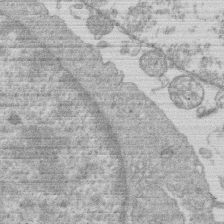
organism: Human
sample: Macrophage cells